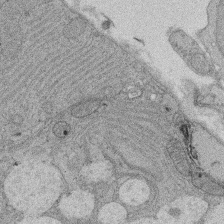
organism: Rat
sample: Salivary granule